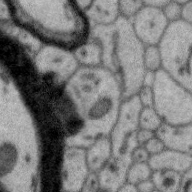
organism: Zebra finch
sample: Brain